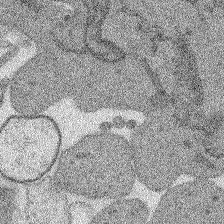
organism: Human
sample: HeLa cells